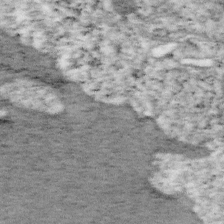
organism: Mouse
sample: OT-I killer T cells with ID8 ovarian cancer cells